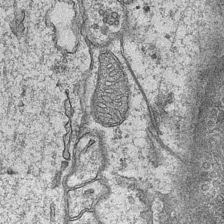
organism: Mouse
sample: CA1 Hippocampus